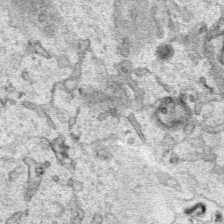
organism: Human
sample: Mitochondria in HCT116 cells